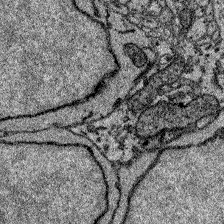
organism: Zebrafish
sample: Larval olfactory bulb